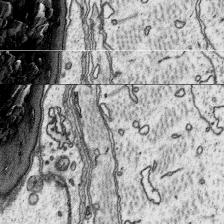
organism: Platynereis dumerilii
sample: Parapodia